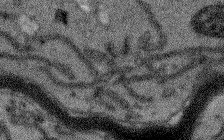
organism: Arabidopsis thaliana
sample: Root tip